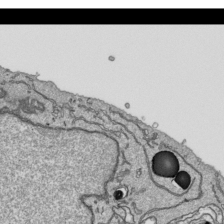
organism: Human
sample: Mitochondria in HCT116 cells